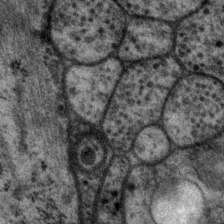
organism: P. pacificus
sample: Pharynx